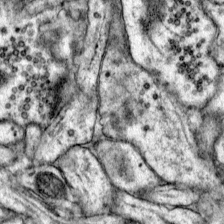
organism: Mouse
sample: Primary visual cortex